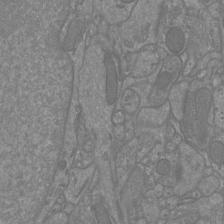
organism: Mouse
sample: Cortical neurons